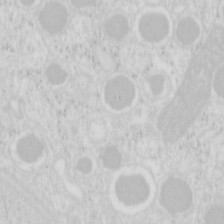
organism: Mouse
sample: Pancreas